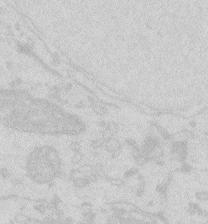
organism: Zebrafish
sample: Macrophage